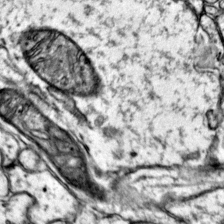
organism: Mouse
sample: Primary visual cortex